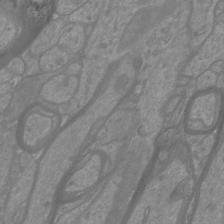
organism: Mouse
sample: Cortical neurons